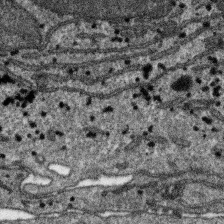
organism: Human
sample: Lung epithelial cells infected with SARS-CoV-2